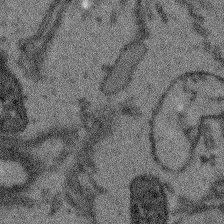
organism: Arabidopsis thaliana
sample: Root tip